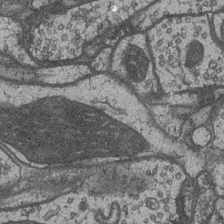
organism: Drosophila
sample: Optic medulla